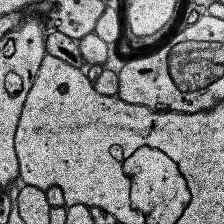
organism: Human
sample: Temporal Lobe